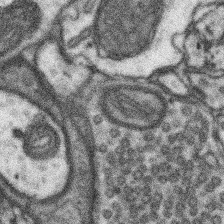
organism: Mouse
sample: Somatosensory cortex neuropil